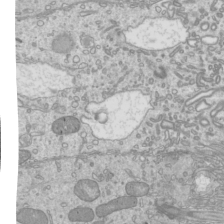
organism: Mouse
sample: Cilia; mouse epididymis